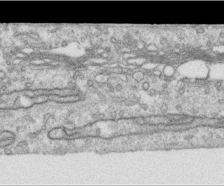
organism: Human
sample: Centriole in RPE cells